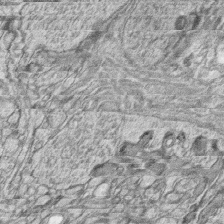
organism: Zebrafish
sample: synaptic ribbons in rod cells and cone cells